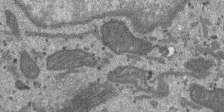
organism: Human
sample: Lung epithelial cells infected with SARS-CoV-2